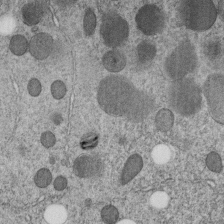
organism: C. elegans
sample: C. elegans embryo early stage